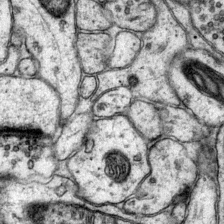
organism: Mouse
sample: Primary visual cortex